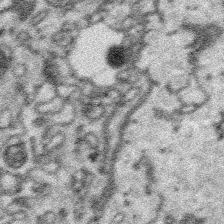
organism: Platynereis dumerilii